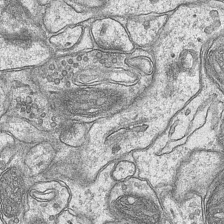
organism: Mouse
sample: CA1 Hippocampus